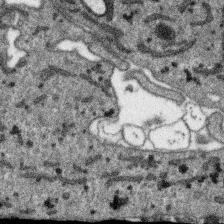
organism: Human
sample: Lung epithelial cells infected with SARS-CoV-2